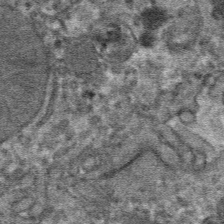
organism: Mouse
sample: Mouse hepatocytes